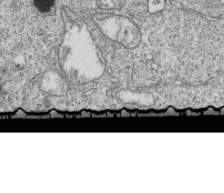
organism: Human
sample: HeLa cell HIV synapse